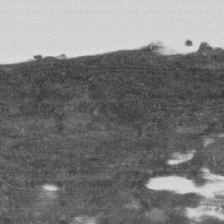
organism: Human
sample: Fibroblast cells